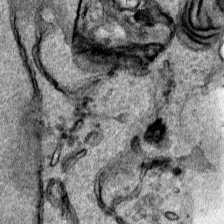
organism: Human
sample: Mitochondria in HCT116 cells